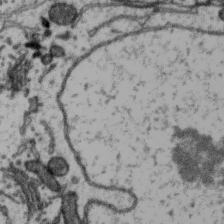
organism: Zebra finch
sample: Brain